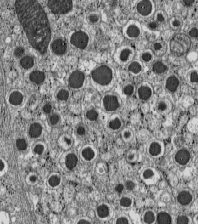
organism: C57BL Mouse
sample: Pancreatic islet